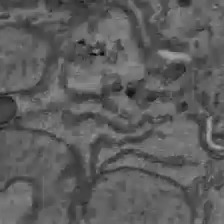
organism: C57BL Mouse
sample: Liver